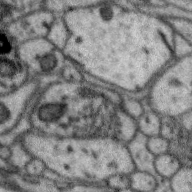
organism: Zebra finch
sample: Brain